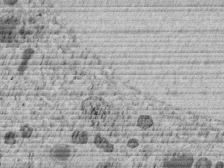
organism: C. elegans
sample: C. elegans embryo early stage